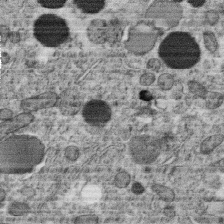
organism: C. elegans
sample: C. elegans oocyte; sperm cells